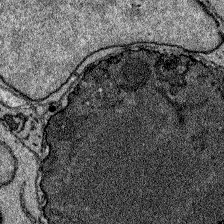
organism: Zebrafish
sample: Larval olfactory bulb